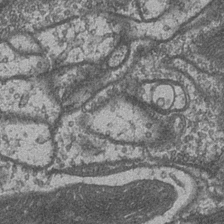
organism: Drosophila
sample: Optic medulla